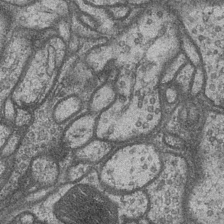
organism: Drosophila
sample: Optic medulla